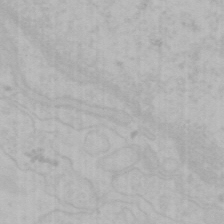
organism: Mouse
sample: Choroid plexus